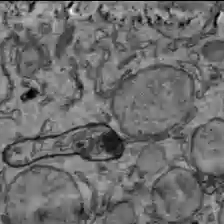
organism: C57BL Mouse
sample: Liver